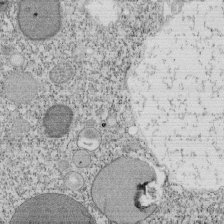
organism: Tetrahymena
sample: Cilia in tetrahymena